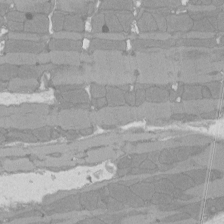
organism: Rat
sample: Left ventricle